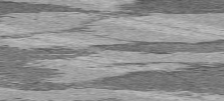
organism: C57BL Mouse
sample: Heart